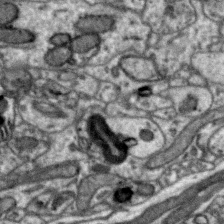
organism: Zebra finch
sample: Brain